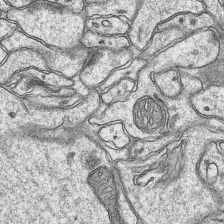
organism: Mouse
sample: CA1 Hippocampus